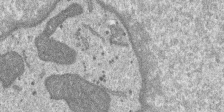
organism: Human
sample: Lung epithelial cells infected with SARS-CoV-2